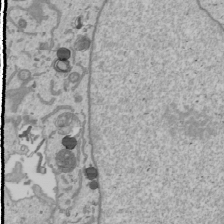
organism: Human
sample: Mitochondria in U2OS cells